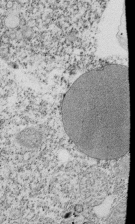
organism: Tetrahymena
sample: Cilia in tetrahymena